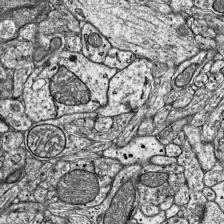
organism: Mouse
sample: Visual Cortex